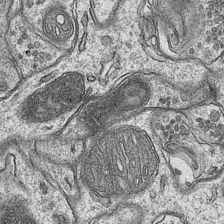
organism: Mouse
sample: CA1 Hippocampus